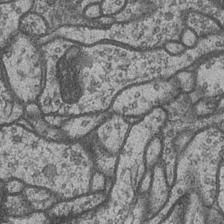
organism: Drosophila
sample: Optic medulla